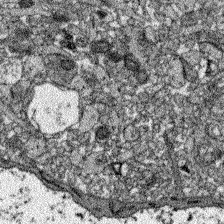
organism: Zebrafish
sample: Larval olfactory bulb